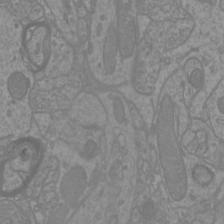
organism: Mouse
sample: Cortical neurons